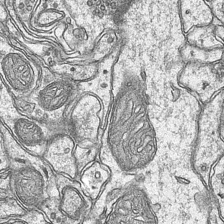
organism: Mouse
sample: CA1 Hippocampus